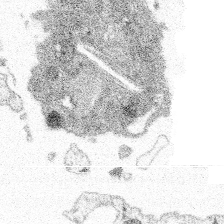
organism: Spongilla lacustris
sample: Multiple